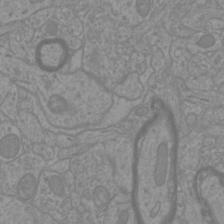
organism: Mouse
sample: Cortical neurons